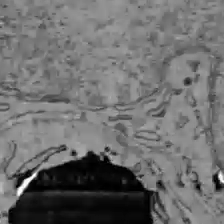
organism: C57BL Mouse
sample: Liver